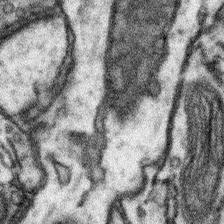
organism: Mouse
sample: Somatosensory cortex neuropil